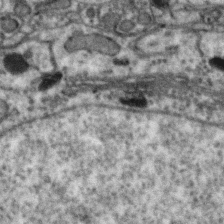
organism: Zebra finch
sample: Brain